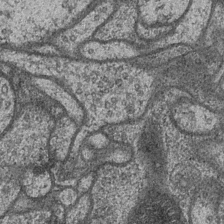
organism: Drosophila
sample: Optic medulla